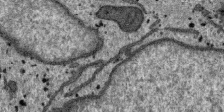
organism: Human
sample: Lung epithelial cells, uninfected (mock) control